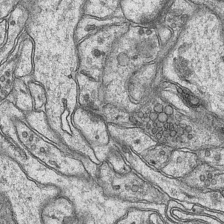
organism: Mouse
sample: CA1 Hippocampus